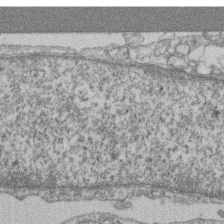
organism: Mouse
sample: T cell stromal cell synapse